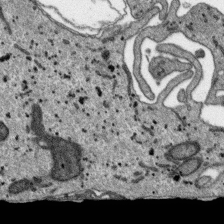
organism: Human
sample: Lung epithelial cells, uninfected (mock) control